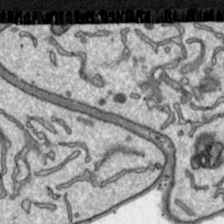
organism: Toxoplasma gondii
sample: Parasites in a vacuole inside a host cell